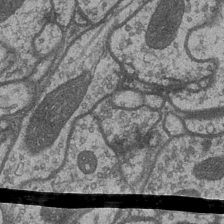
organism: Drosophila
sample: Optic medulla